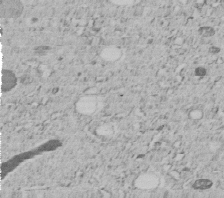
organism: C. elegans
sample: C. elegans embryo early stage